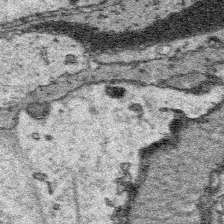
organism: Platynereis dumerilii